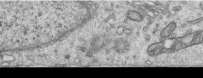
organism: Human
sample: Centriole in RPE cells